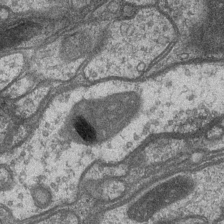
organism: Drosophila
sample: Optic medulla